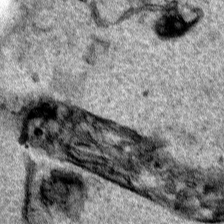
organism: Human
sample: Mitochondria in HCT116 cells